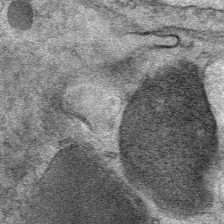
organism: Mouse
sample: Mouse Salivary gland